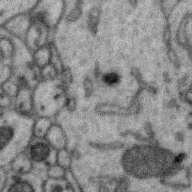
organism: Zebra finch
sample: Brain